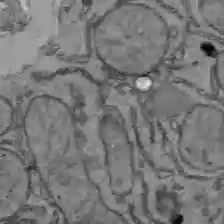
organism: C57BL Mouse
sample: Liver